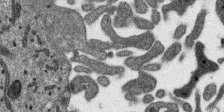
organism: Human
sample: Lung epithelial cells infected with SARS-CoV-2